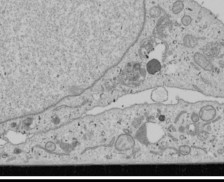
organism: Human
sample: Mitochondria in U2OS cells